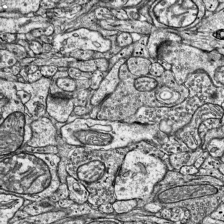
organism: Mouse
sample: Visual Cortex